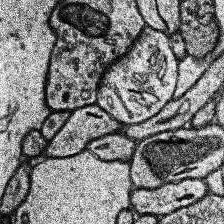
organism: Human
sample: Temporal Lobe